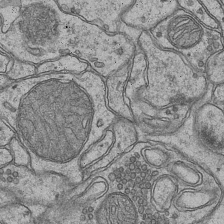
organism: Mouse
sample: CA1 Hippocampus